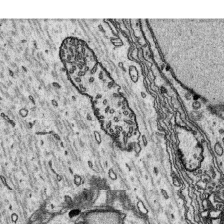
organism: Platynereis dumerilii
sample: Parapodia